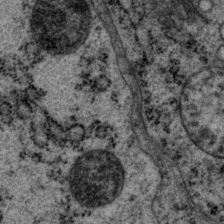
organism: P. pacificus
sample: Pharynx